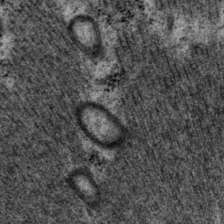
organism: P. pacificus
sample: Pharynx